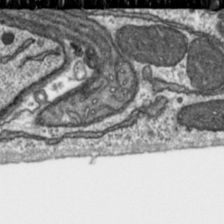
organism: Toxoplasma gondii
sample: Parasites in a vacuole inside a host cell